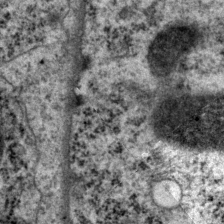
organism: P. pacificus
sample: Pharynx